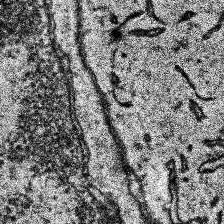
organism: Human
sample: Temporal Lobe